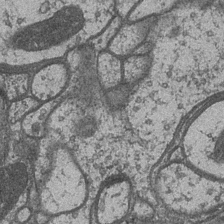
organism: Drosophila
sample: Optic medulla